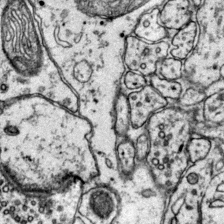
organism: Mouse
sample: Primary visual cortex